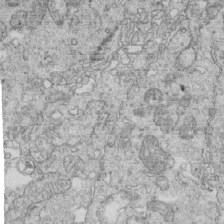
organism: Mouse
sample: Multiciliated cells